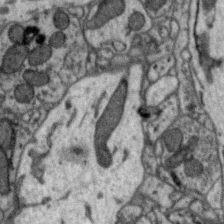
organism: Zebra finch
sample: Brain